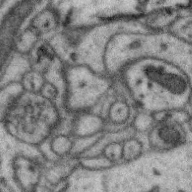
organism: Zebra finch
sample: Brain